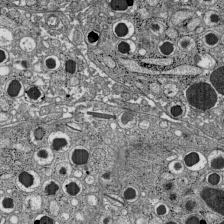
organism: C57BL Mouse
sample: Pancreatic islet